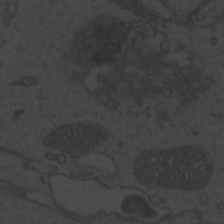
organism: Zebrafish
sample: Macrophage infected with Toxoplasma gondii